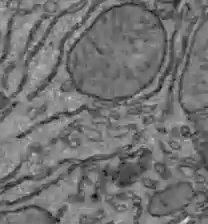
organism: C57BL Mouse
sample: Liver